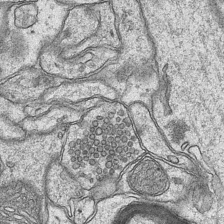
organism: Mouse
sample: CA1 Hippocampus